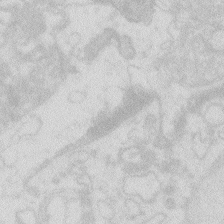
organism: Zebrafish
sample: Macrophage